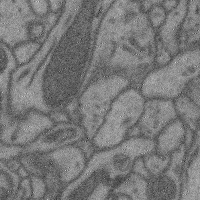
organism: Mouse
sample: Cerebral cortex